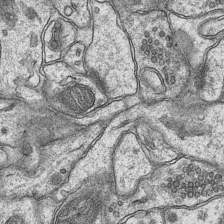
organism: Mouse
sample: CA1 Hippocampus